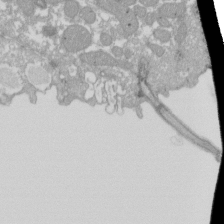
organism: Xenopus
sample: Cilia; centrioles in frog embryo cells